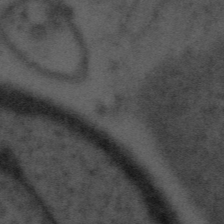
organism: Tuwongella immobilis